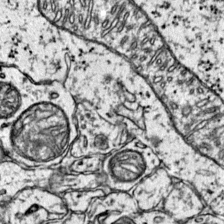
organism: Mouse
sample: Primary visual cortex